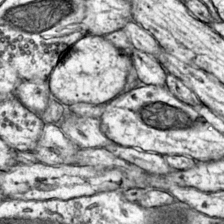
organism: Mouse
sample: Primary visual cortex